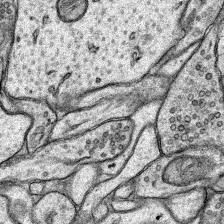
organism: Rat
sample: Hippocampus